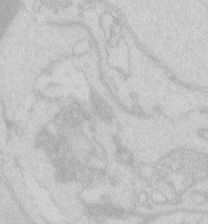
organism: Zebrafish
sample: Macrophage